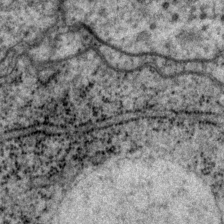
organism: P. pacificus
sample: Pharynx